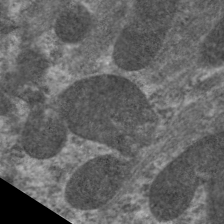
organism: C. elegans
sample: Pharynx